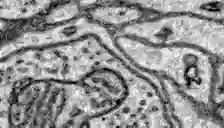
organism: Zebrafish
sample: Brain